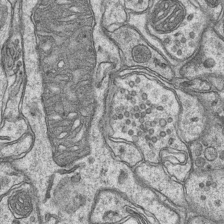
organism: Mouse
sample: CA1 Hippocampus